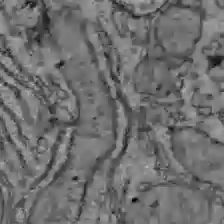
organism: C57BL Mouse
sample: Liver